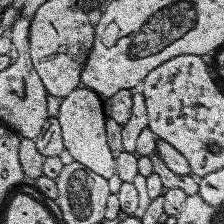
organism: Human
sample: Temporal Lobe